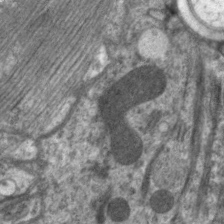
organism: C. elegans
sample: Pharynx